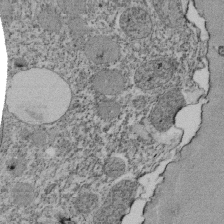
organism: Tetrahymena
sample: Cilia in tetrahymena